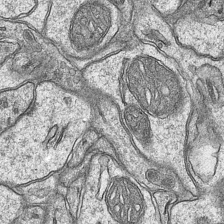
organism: Mouse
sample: CA1 Hippocampus